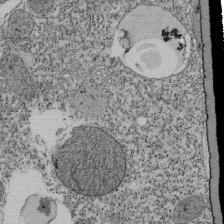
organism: Tetrahymena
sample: Cilia in tetrahymena